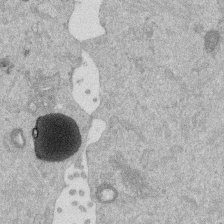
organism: Mouse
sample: Dividing mouse embryo 1 cell stage